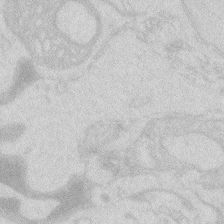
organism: Zebrafish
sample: Macrophage